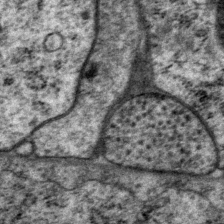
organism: P. pacificus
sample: Pharynx